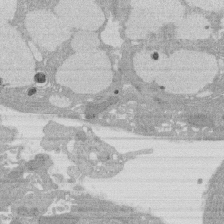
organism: Rat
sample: Salivary granule